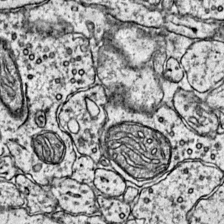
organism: Mouse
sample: Primary visual cortex